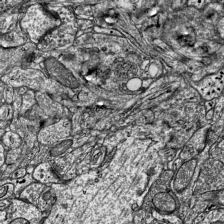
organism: Mouse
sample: Visual Cortex